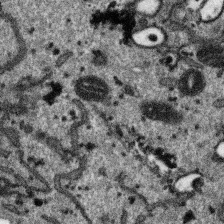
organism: Human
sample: Lung epithelial cells infected with SARS-CoV-2